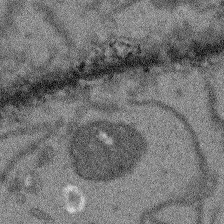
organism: Arabidopsis thaliana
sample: Root tip